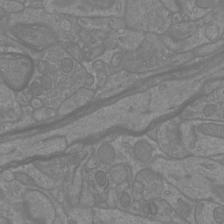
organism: Mouse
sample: Cortical neurons